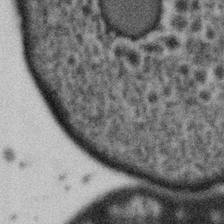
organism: Gemmata obscuriglobus